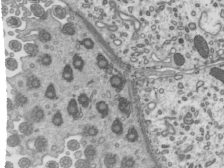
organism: Mouse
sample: Mouse epididymis efferent ductule cilia